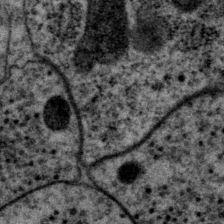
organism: P. pacificus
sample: Pharynx